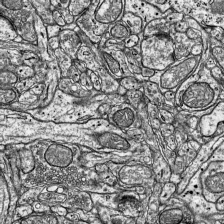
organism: Mouse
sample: Visual Cortex